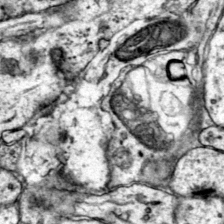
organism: Mouse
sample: Primary visual cortex